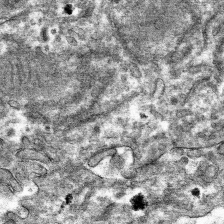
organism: Mouse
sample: Mouse hepatocytes